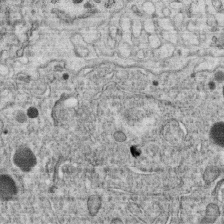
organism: C. elegans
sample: C. elegans oocyte; sperm cells